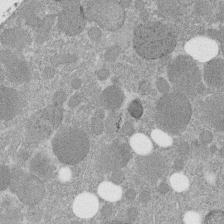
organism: C. elegans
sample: C. elegans embryo early stage